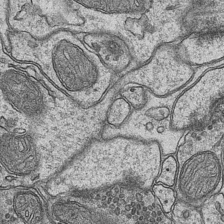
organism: Mouse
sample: CA1 Hippocampus